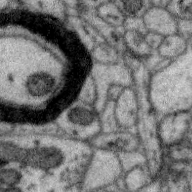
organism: Zebra finch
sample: Brain